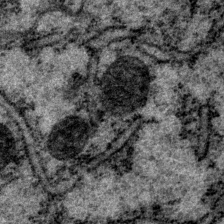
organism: P. pacificus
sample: Pharynx